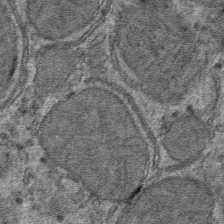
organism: Mouse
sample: Mouse hepatocytes